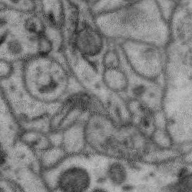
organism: Zebra finch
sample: Brain